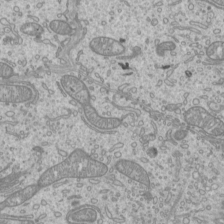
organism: Mouse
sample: Cilia; mouse epididymis